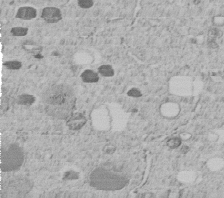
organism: C. elegans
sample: C. elegans embryo early stage